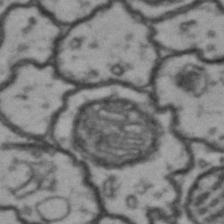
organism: Drosophila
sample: Brain